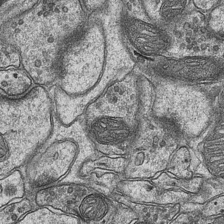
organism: Mouse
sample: CA1 Hippocampus